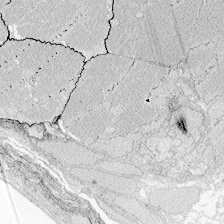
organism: Zebrafish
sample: Whole-Brain